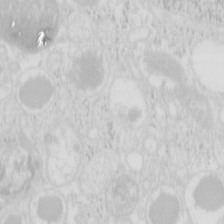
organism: Mouse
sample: Pancreas